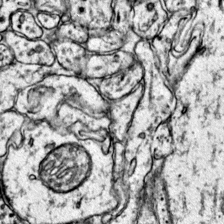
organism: Mouse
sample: Primary visual cortex